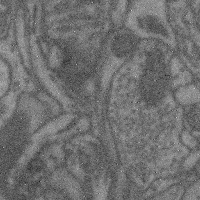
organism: Mouse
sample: Cerebral cortex